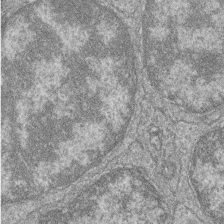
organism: Zebrafish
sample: Cilia; retinal pigment epithelium